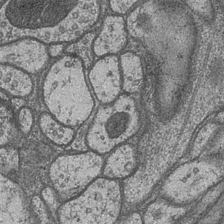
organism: Drosophila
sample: Optic medulla